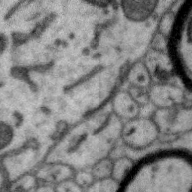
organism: Zebra finch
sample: Brain